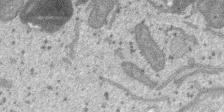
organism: Human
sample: Lung epithelial cells infected with SARS-CoV-2